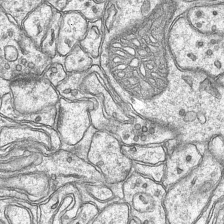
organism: Mouse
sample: CA1 Hippocampus